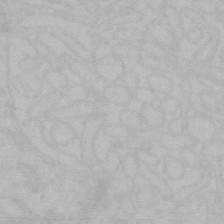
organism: Mouse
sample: Choroid plexus